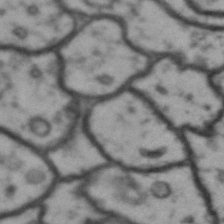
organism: Drosophila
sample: Brain